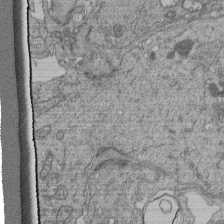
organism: Human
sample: Retinal organoid Rod and Cone cells